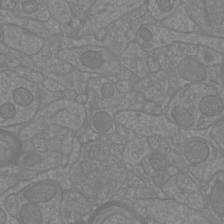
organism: Mouse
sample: Cortical neurons